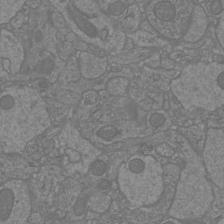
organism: Mouse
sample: Cortical neurons